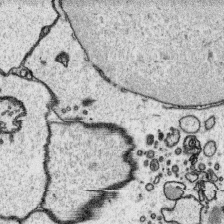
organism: Platynereis dumerilii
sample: Parapodia